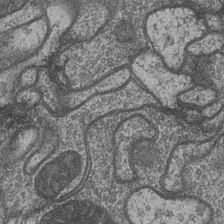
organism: Drosophila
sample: Optic medulla